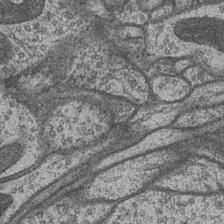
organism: Drosophila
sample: Optic medulla